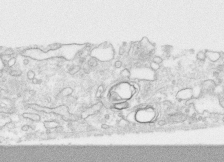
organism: Human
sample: CRL-1474